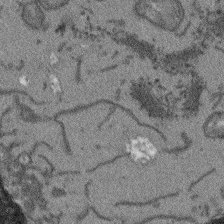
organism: Arabidopsis thaliana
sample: Root tip